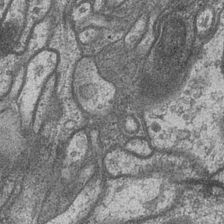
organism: Drosophila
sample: Optic medulla